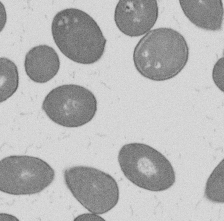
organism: B. subtilis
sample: Bacterial spore